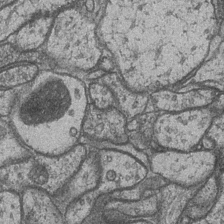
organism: Drosophila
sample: Optic medulla